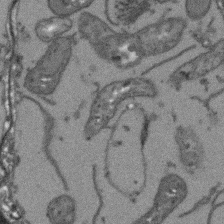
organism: Arabidopsis thaliana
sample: Root tip